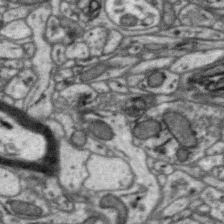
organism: Zebra finch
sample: Brain